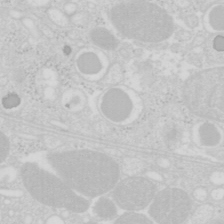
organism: Mouse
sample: Pancreas